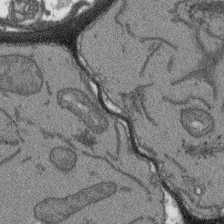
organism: Arabidopsis thaliana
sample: Root tip